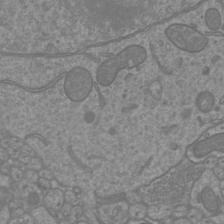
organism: Mouse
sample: Cortical neurons